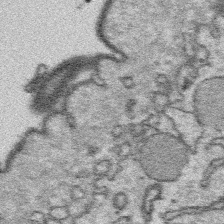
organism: Platynereis dumerilii